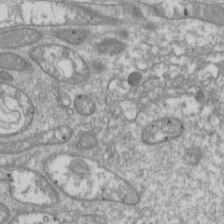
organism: Drosophila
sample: Cell division; meiosis; drosophila spermatocytes